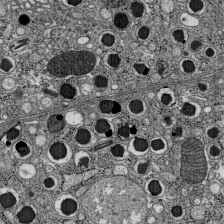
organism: C57BL Mouse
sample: Pancreatic islet